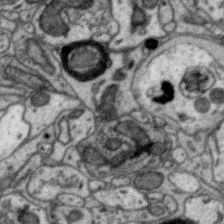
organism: Zebra finch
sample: Brain